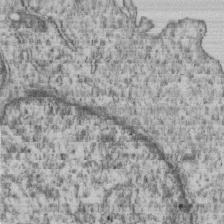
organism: Human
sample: MDA-MB-231 cells